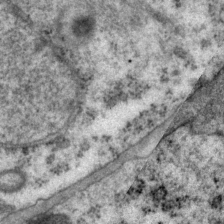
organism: P. pacificus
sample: Pharynx